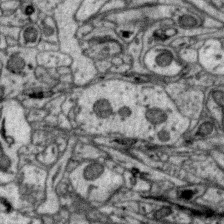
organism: Zebra finch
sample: Brain